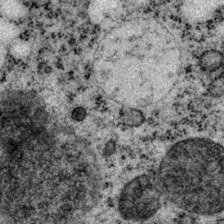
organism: P. pacificus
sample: Pharynx